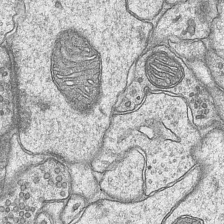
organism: Mouse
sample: CA1 Hippocampus